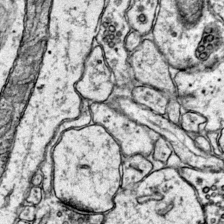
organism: Mouse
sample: Primary visual cortex